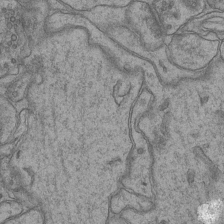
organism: Mouse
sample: CA1 Hippocampus